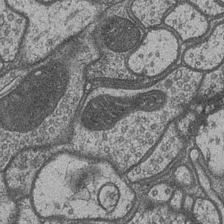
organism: Drosophila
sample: Optic medulla